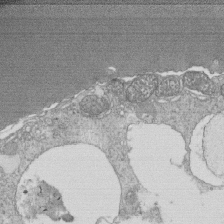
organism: Tetrahymena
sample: Cilia in tetrahymena